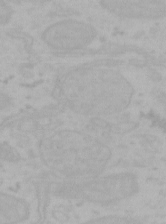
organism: Mouse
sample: Choroid plexus